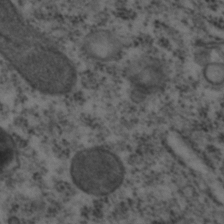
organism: C. elegans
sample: C. elegans embryo